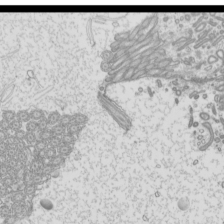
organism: Mouse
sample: Cilia; mouse epididymis